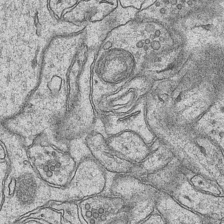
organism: Mouse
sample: CA1 Hippocampus